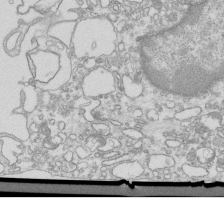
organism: Mouse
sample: Macrophages